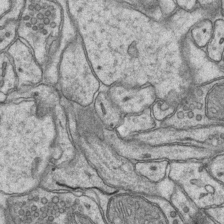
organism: Mouse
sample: CA1 Hippocampus